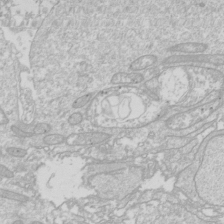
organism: Drosophila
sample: Cell division; meiosis; drosophila spermatocytes